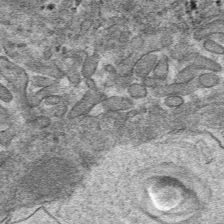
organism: Mouse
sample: Mouse hepatocytes